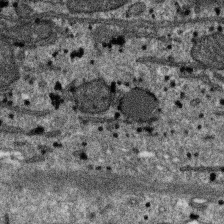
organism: Human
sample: Lung epithelial cells infected with SARS-CoV-2